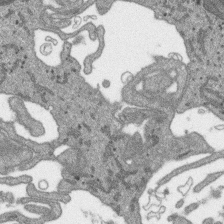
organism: Human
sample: Lung epithelial cells infected with SARS-CoV-2